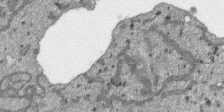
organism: Human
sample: Lung epithelial cells infected with SARS-CoV-2